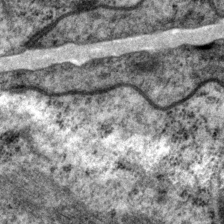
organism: P. pacificus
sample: Pharynx